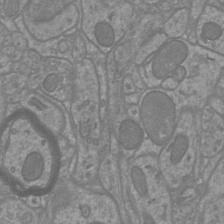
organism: Mouse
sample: Cortical neurons